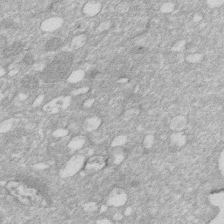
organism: Human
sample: HIV infected U937 cells